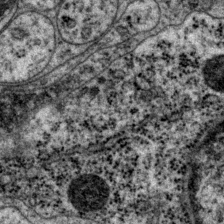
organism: P. pacificus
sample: Pharynx